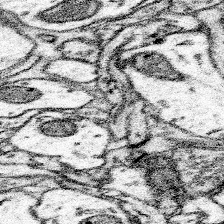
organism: Mouse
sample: Somatosensory cortex neuropil